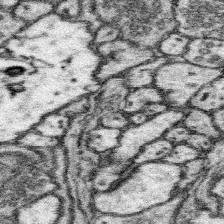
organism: Mouse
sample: Somatosensory cortex neuropil